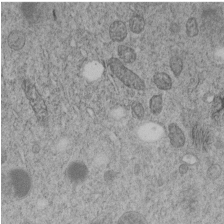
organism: C. elegans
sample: C. elegans embryo early stage